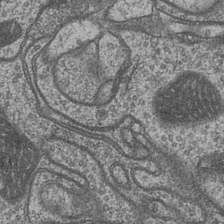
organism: Drosophila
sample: Optic medulla